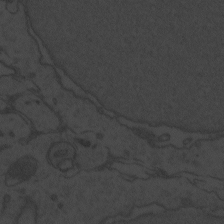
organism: Zebrafish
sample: Macrophage infected with Toxoplasma gondii